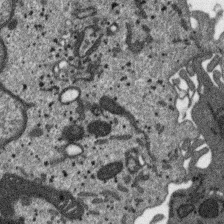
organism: Human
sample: Lung epithelial cells infected with SARS-CoV-2